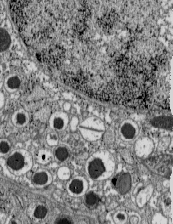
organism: C57BL Mouse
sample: Pancreatic islet